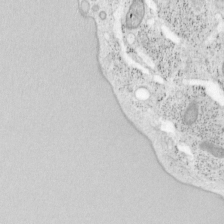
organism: Mouse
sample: OT-I killer T cells with ID8 ovarian cancer cells